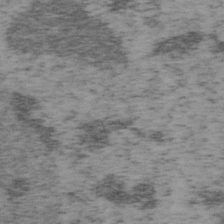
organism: Mouse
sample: OT-I killer T cells with ID8 ovarian cancer cells